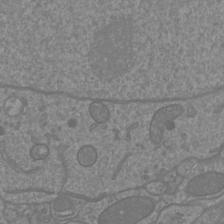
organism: Mouse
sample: Cortical neurons